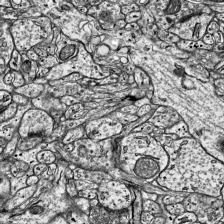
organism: Mouse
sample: Visual Cortex